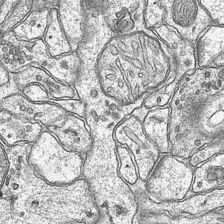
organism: Mouse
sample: CA1 Hippocampus